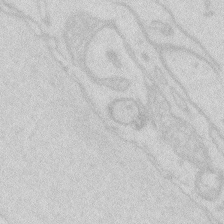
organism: Zebrafish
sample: Macrophage